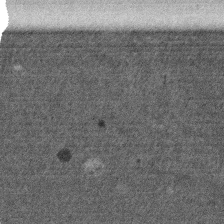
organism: Mouse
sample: Dividing mouse embryo 1 cell stage